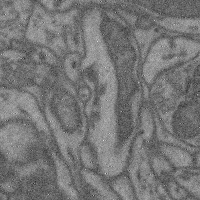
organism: Mouse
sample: Cerebral cortex